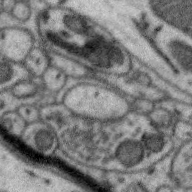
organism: Zebra finch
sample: Brain